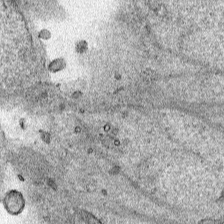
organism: Human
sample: Mitochondria in HCT116 cells